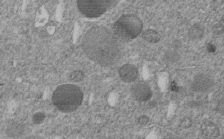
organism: C. elegans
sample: C. elegans embryo early stage